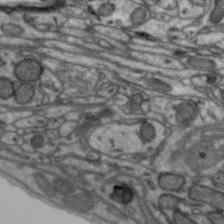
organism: Zebra finch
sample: Brain